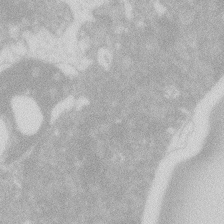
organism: Zebrafish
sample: Macrophage